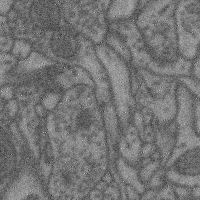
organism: Mouse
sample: Cerebral cortex